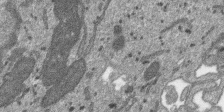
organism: Human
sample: Lung epithelial cells infected with SARS-CoV-2